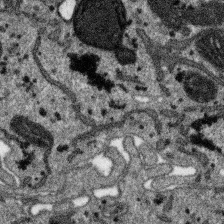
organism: Human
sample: Lung epithelial cells infected with SARS-CoV-2